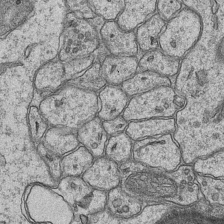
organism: Mouse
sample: CA1 Hippocampus